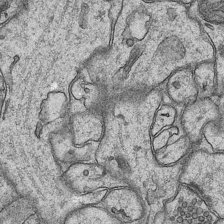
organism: Mouse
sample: CA1 Hippocampus